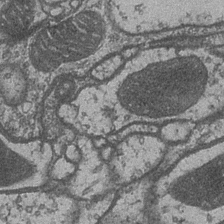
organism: Drosophila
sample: Optic medulla